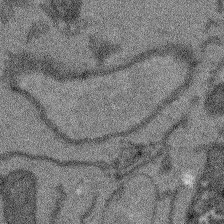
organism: Arabidopsis thaliana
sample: Root tip